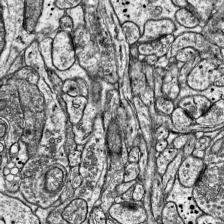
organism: Mouse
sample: Visual Cortex